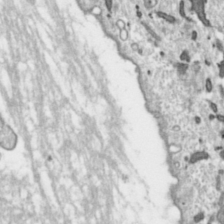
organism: Toxoplasma gondii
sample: Parasites in a vacuole inside a host cell